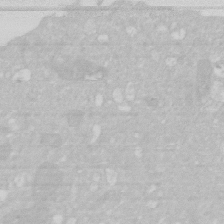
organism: Human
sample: HIV infected U937 cells